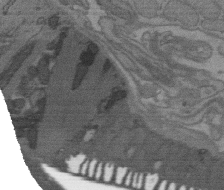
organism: C. elegans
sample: AFD neurons C. elegans